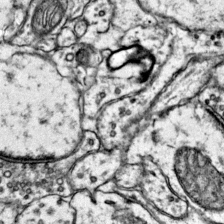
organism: Mouse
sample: Primary visual cortex